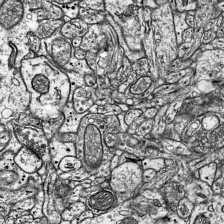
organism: Mouse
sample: Visual Cortex